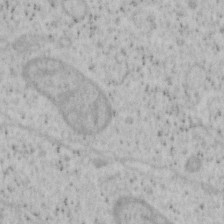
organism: Human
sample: HeLa cells